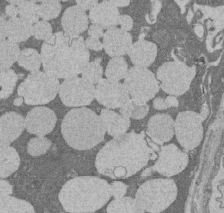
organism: Rat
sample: Salivary granule